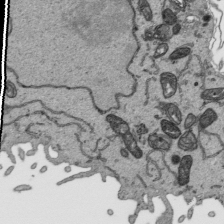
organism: Human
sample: Mitochondria in HCT116 cells